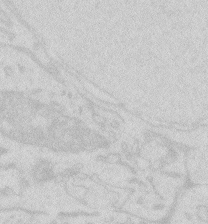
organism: Zebrafish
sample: Macrophage